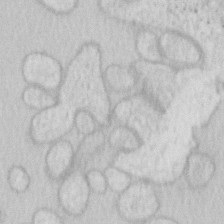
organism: Human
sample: HeLa cells